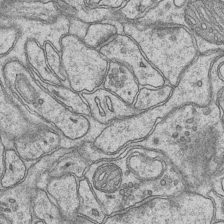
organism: Mouse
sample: CA1 Hippocampus